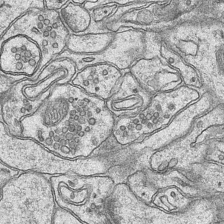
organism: Mouse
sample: CA1 Hippocampus